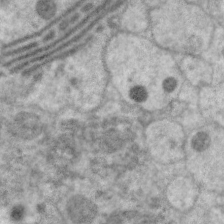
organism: C. elegans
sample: Pharynx